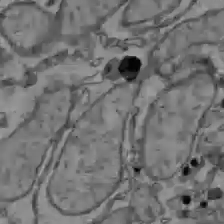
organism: C57BL Mouse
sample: Liver